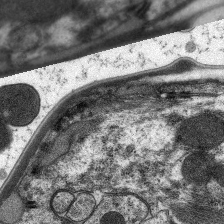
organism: C. elegans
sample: Pharynx